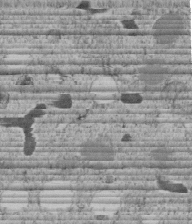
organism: C. elegans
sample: C. elegans embryo early stage